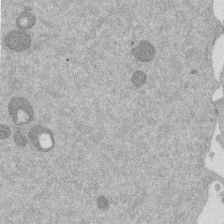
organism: Mouse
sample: Dividing mouse embryo 1 cell stage